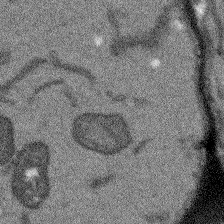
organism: Arabidopsis thaliana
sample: Root tip